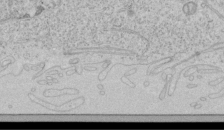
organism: Human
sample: Mitochondria in HCT116 cells